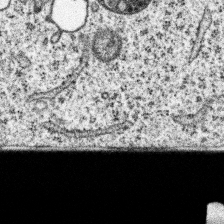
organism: Human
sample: HeLa cells